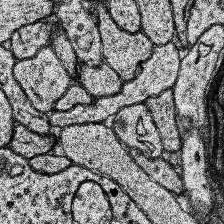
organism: Human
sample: Temporal Lobe